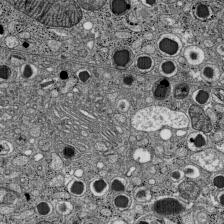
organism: C57BL Mouse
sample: Pancreatic islet